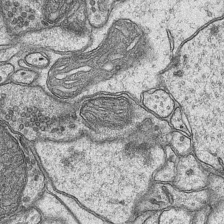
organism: Mouse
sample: CA1 Hippocampus